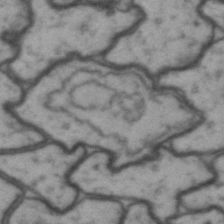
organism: Drosophila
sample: Brain